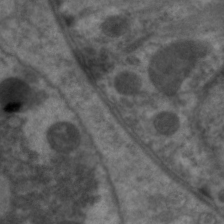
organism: C. elegans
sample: Pharynx